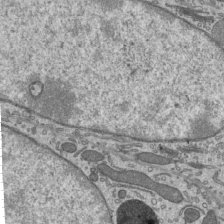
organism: Mouse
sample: Mouse epididymis efferent ductule cilia